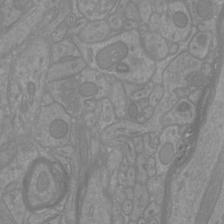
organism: Mouse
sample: Cortical neurons